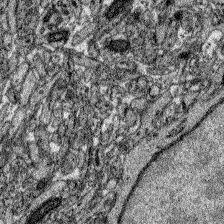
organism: Zebrafish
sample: Larval olfactory bulb